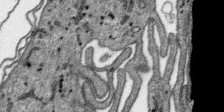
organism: Human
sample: Lung epithelial cells, uninfected (mock) control